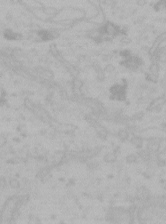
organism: Mouse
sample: Choroid plexus